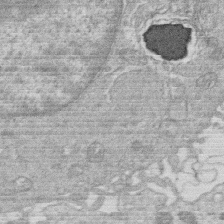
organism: Human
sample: Macrophage cells